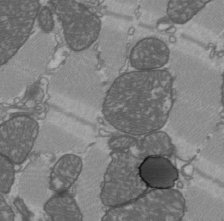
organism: C57BL Mouse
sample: Heart